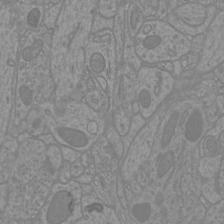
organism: Mouse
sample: Cortical neurons